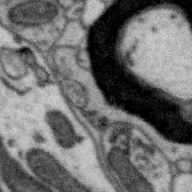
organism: Zebra finch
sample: Brain